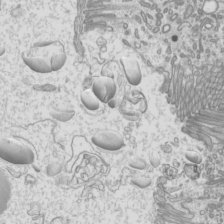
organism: Mouse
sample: Cilia; mouse epididymis